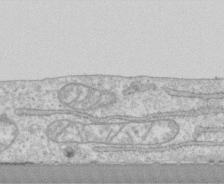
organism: Human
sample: CRL-1474